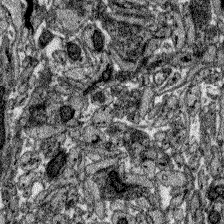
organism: Zebrafish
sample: Larval olfactory bulb